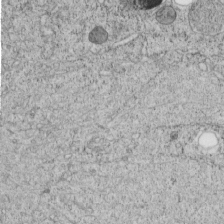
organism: C. elegans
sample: C. elegans embryo early stage